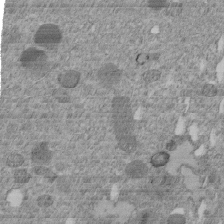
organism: C. elegans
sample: C. elegans embryo early stage